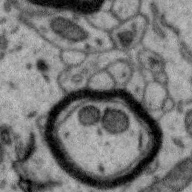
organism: Zebra finch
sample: Brain